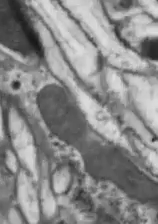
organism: Drosophila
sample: Optic lobe